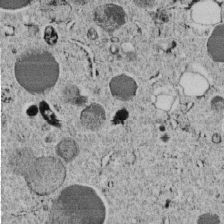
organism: C. elegans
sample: C. elegans embryo early stage